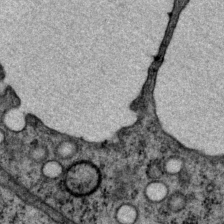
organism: P. pacificus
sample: Pharynx